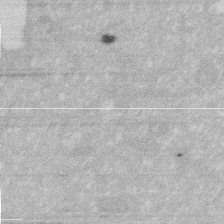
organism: Human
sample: HIV infected U937 cells